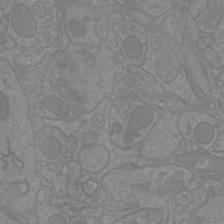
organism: Mouse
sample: Cortical neurons